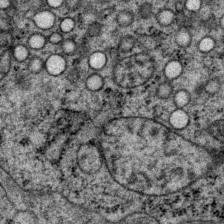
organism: P. pacificus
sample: Pharynx